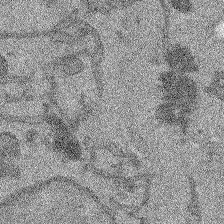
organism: Human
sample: HeLa cells